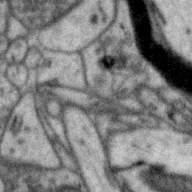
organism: Zebra finch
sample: Brain